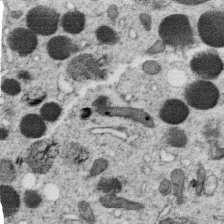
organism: C. elegans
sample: C. elegans oocyte; sperm cells